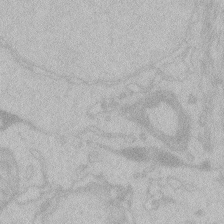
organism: Zebrafish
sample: Macrophage infected with Toxoplasma gondii